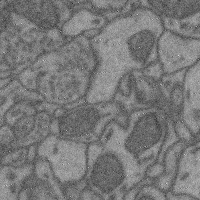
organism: Mouse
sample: Cerebral cortex